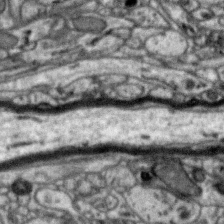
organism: Zebra finch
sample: Brain